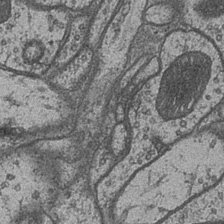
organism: Drosophila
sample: Optic medulla